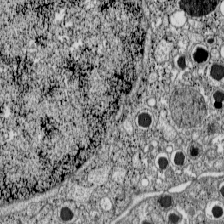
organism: C57BL Mouse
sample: Pancreatic islet